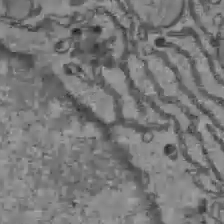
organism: C57BL Mouse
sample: Liver